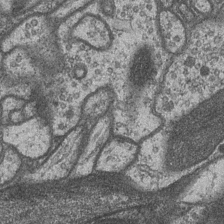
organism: Drosophila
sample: Optic medulla